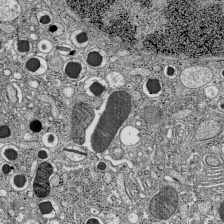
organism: C57BL Mouse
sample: Pancreatic islet